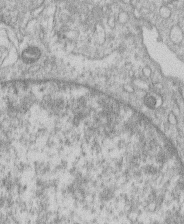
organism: Human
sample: Macrophage cells